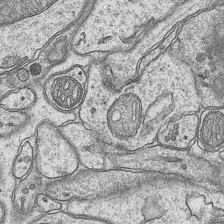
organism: Mouse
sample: CA1 Hippocampus